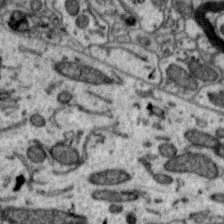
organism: Zebra finch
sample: Brain